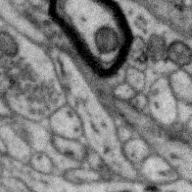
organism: Zebra finch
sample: Brain